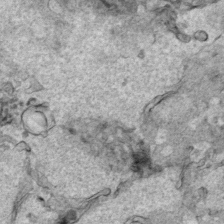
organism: Human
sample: Mitochondria in HCT116 cells